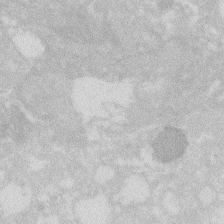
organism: Zebrafish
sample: Macrophage